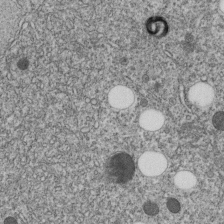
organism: C. elegans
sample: C. elegans embryo early stage